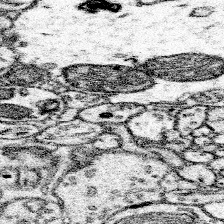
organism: Mouse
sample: Somatosensory cortex neuropil